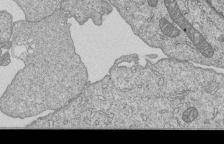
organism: Human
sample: MDA-MB-231 cells